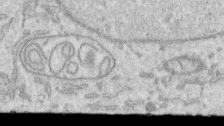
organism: Human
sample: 1205lu cells